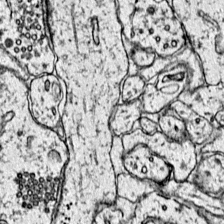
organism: Mouse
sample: Primary visual cortex